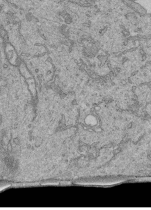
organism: Human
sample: Retinal organoid Rod and Cone cells